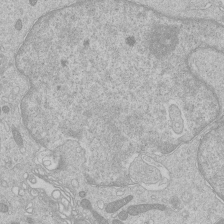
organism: Human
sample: Macrophage cells